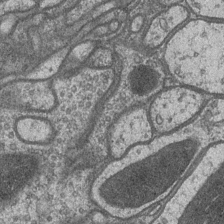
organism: Drosophila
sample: Optic medulla